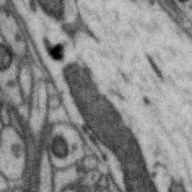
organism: Zebra finch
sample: Brain